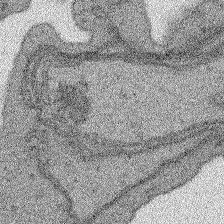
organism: Human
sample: HeLa cells